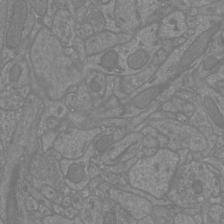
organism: Mouse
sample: Cortical neurons